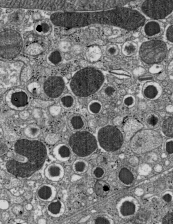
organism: C57BL Mouse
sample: Pancreatic islet